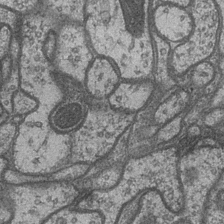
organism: Drosophila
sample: Optic medulla